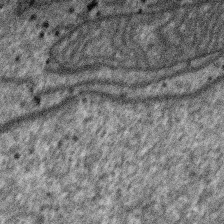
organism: Human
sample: Lung epithelial cells infected with SARS-CoV-2